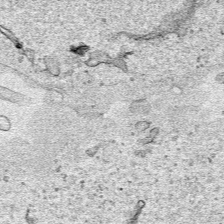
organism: Human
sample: Mitochondria in HCT116 cells